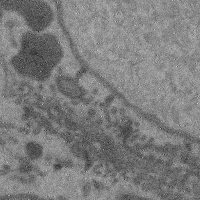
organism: Mouse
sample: Cerebral cortex